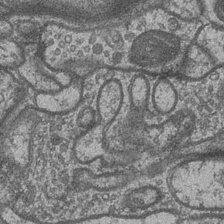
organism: Drosophila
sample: Optic medulla